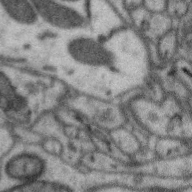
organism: Zebra finch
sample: Brain